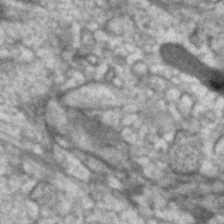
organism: Human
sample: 1205lu cells